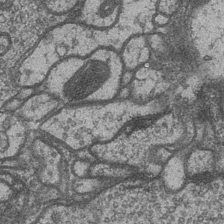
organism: Drosophila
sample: Optic medulla